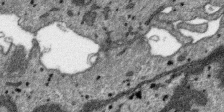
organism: Human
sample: Lung epithelial cells, uninfected (mock) control